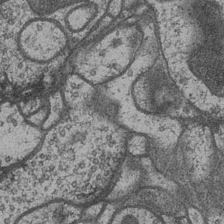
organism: Drosophila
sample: Optic medulla